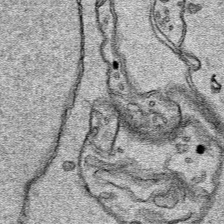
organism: Human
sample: Mitochondria in HCT116 cells